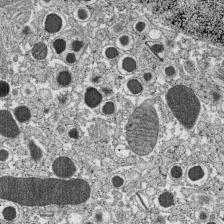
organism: C57BL Mouse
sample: Pancreatic islet